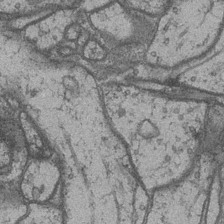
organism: Drosophila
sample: Optic medulla